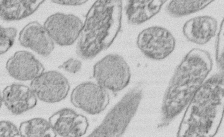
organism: E. coli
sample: Bacterial nucleoid